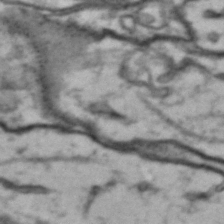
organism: Drosophila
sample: Brain